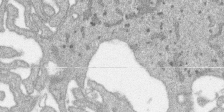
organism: Human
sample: Lung epithelial cells infected with SARS-CoV-2